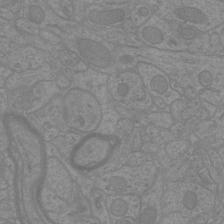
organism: Mouse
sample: Cortical neurons